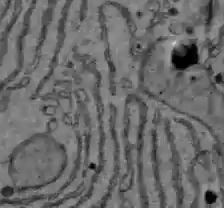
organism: C57BL Mouse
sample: Liver